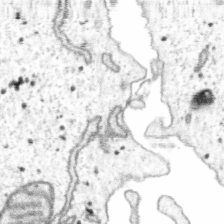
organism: Human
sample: HeLa cells